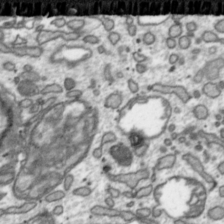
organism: Toxoplasma gondii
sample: Parasites in a vacuole inside a host cell